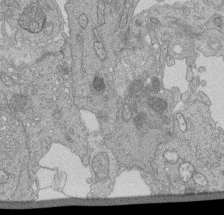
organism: Human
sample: Retinal organoid Rod and Cone cells